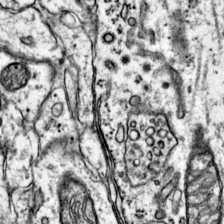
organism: Mouse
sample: Primary visual cortex